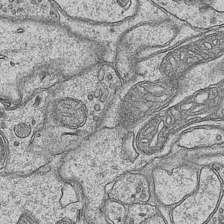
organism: Mouse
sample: CA1 Hippocampus